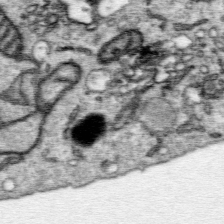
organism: Human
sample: HeLa cells